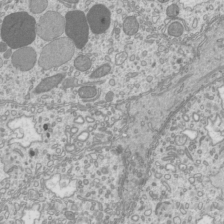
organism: Mouse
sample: Cilia; mouse epididymis